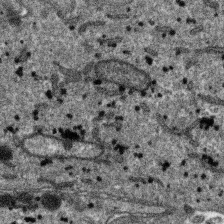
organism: Human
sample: Lung epithelial cells infected with SARS-CoV-2